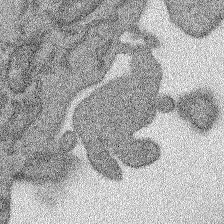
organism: Human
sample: HeLa cells